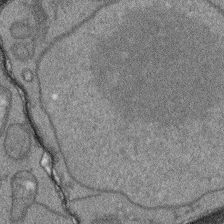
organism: Arabidopsis thaliana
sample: Root tip